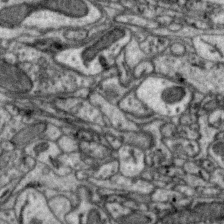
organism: Zebra finch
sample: Brain